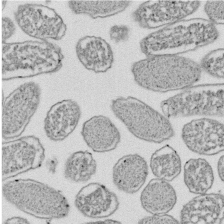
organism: E. coli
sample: Bacterial nucleoid